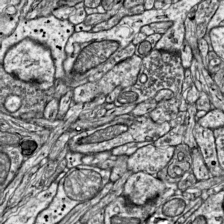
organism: Mouse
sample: Visual Cortex